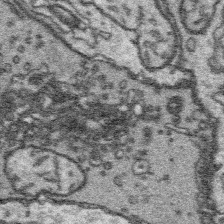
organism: Platynereis dumerilii